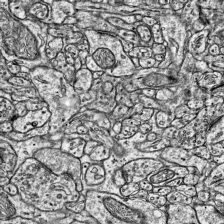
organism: Mouse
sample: Visual Cortex